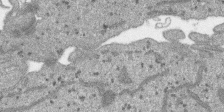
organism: Human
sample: Lung epithelial cells infected with SARS-CoV-2